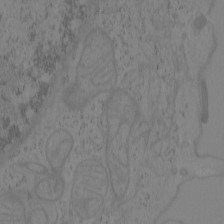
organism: Human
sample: HeLa cells